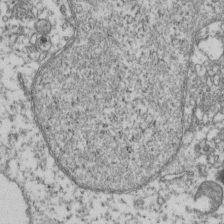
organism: Human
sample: Activated Jurkat CD4+ T cells